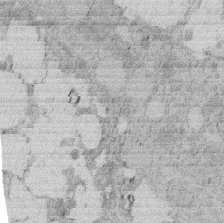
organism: Rat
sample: Salivary granule